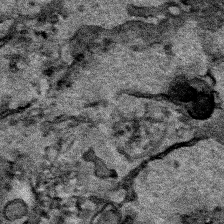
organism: Human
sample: Mitochondria in HCT116 cells